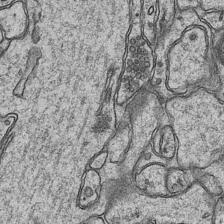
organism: Mouse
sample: CA1 Hippocampus